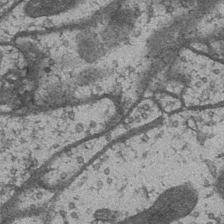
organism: Drosophila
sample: Optic medulla